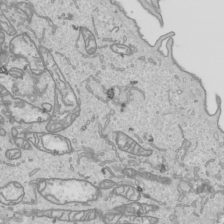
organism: Human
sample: Mitochondria in HCT116 cells